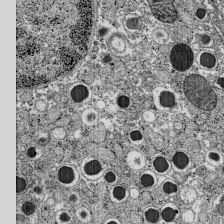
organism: C57BL Mouse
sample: Pancreatic islet